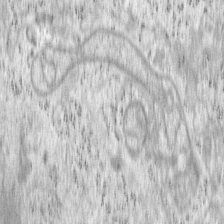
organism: Human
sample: HeLa cells